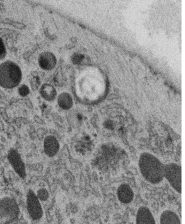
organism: C. elegans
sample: C. elegans oocyte; sperm cells